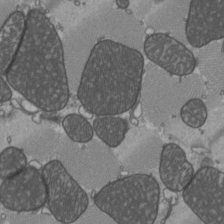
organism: C57BL Mouse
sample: Heart